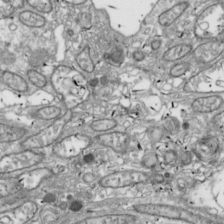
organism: Drosophila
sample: Cell division; meiosis; drosophila spermatocytes